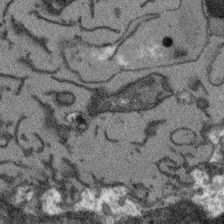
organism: Arabidopsis thaliana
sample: Root tip